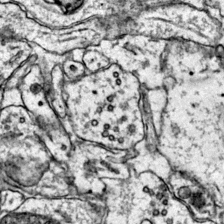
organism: Mouse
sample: Primary visual cortex